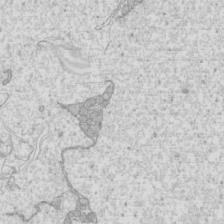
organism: Mouse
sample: Cilia; mouse epididymis